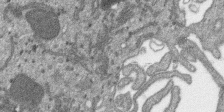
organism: Human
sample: Lung epithelial cells infected with SARS-CoV-2